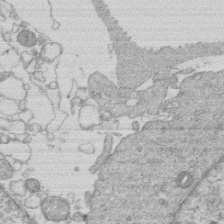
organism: Human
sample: Macrophage cells